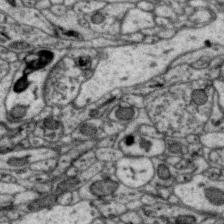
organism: Zebra finch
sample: Brain